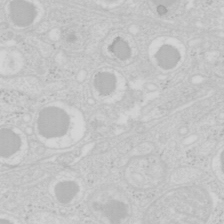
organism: Mouse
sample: Pancreas